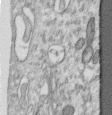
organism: Human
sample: Centriole in RPE cells